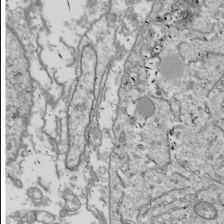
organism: Drosophila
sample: Cell division; meiosis; drosophila spermatocytes